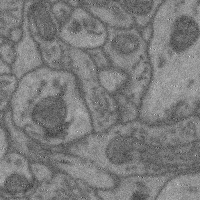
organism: Mouse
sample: Cerebral cortex